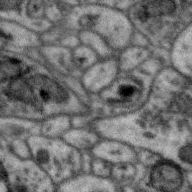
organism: Zebra finch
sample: Brain